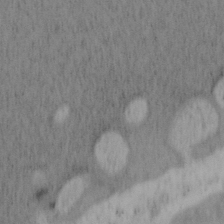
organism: Mouse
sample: OT-I killer T cells with ID8 ovarian cancer cells